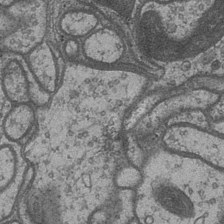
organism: Drosophila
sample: Optic medulla